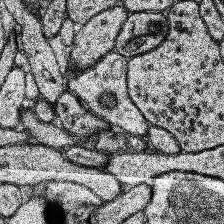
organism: Human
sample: Temporal Lobe